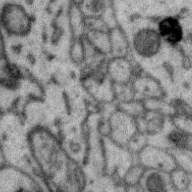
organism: Zebra finch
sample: Brain